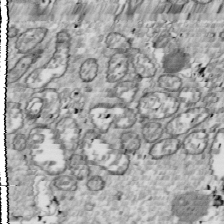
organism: Drosophila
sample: Cell division; meiosis; drosophila spermatocytes